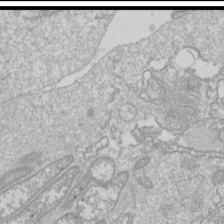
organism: Drosophila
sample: Cell division; meiosis; drosophila spermatocytes